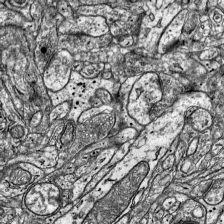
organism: Mouse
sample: Visual Cortex